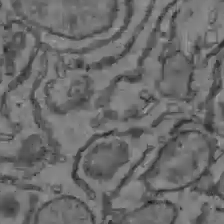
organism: C57BL Mouse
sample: Liver